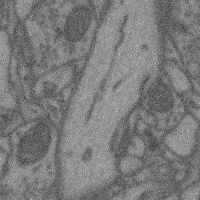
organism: Mouse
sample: Cerebral cortex